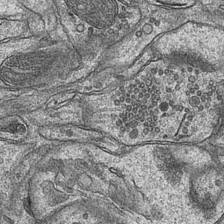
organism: Mouse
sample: CA1 Hippocampus